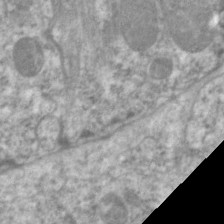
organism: C. elegans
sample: Pharynx